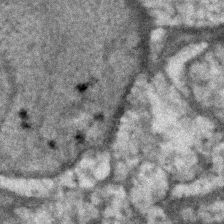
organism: Human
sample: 1205lu cells